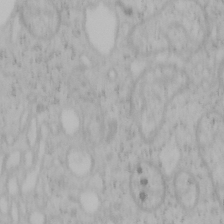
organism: Mouse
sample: OT-I killer T cells with ID8 ovarian cancer cells